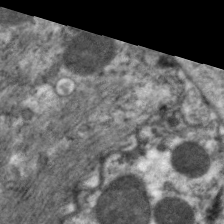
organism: C. elegans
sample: Pharynx